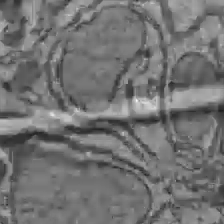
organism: C57BL Mouse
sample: Liver